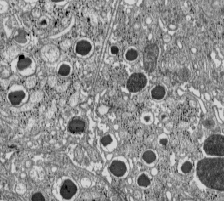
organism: C57BL Mouse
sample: Pancreatic islet